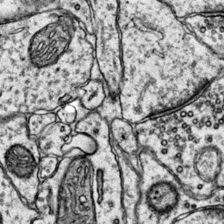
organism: Mouse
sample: Primary visual cortex